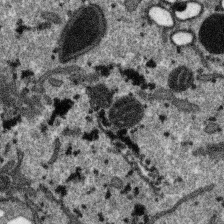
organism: Human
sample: Lung epithelial cells infected with SARS-CoV-2